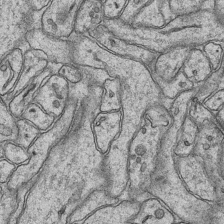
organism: Mouse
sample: CA1 Hippocampus